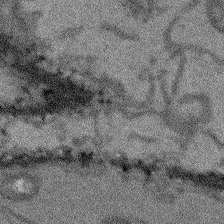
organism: Arabidopsis thaliana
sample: Root tip